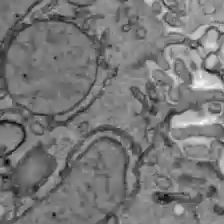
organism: C57BL Mouse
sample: Liver